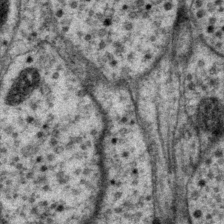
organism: P. pacificus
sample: Pharynx